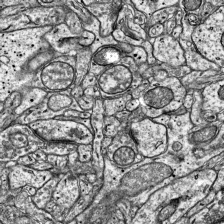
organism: Mouse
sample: Visual Cortex